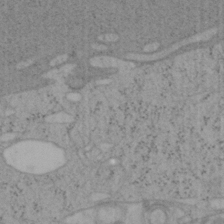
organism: Mouse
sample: OT-I killer T cells with ID8 ovarian cancer cells